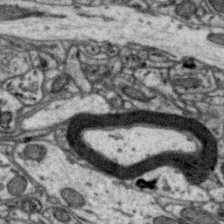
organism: Zebra finch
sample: Brain